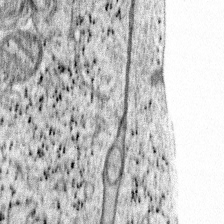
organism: Human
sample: HeLa cells